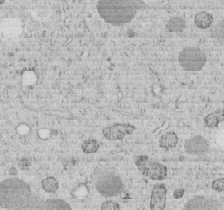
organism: C. elegans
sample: C. elegans embryo early stage